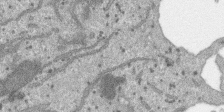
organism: Human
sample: Lung epithelial cells infected with SARS-CoV-2